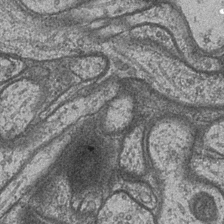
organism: Drosophila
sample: Optic medulla